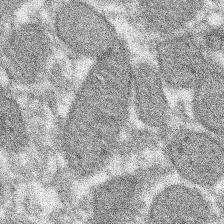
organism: Xenopus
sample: Cilia; centrioles in frog embryo cells